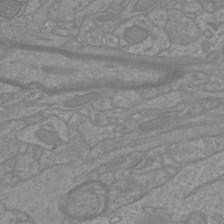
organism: Mouse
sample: Cortical neurons